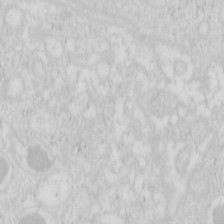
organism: Mouse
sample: Pancreas